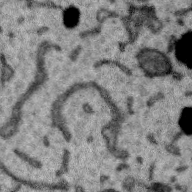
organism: Zebra finch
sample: Brain